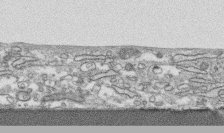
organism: Human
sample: CRL-1474